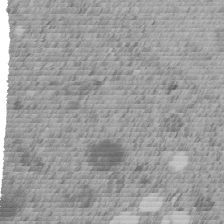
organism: C. elegans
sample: C. elegans embryo early stage